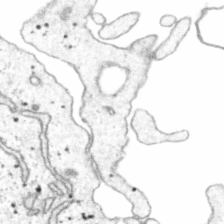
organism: Human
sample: HeLa cells